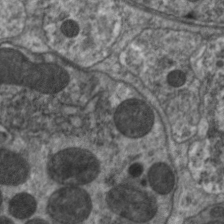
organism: C. elegans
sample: Pharynx